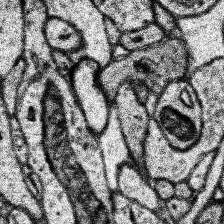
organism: Human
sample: Temporal Lobe